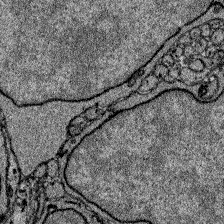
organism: Zebrafish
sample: Larval olfactory bulb